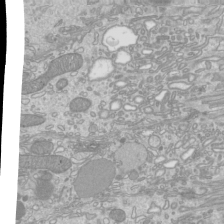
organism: Mouse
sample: Cilia; mouse epididymis